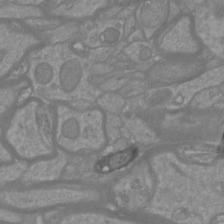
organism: Mouse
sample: Cortical neurons